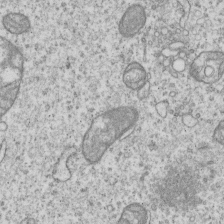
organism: Human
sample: MDA-MB-231 cells